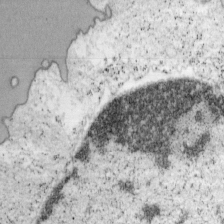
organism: Mouse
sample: OT-I killer T cells with ID8 ovarian cancer cells